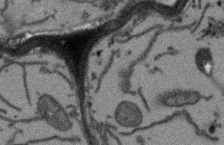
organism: Arabidopsis thaliana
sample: Root tip